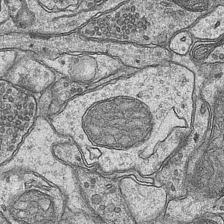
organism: Mouse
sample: CA1 Hippocampus